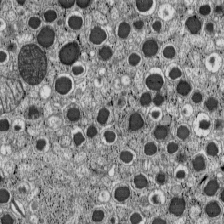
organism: C57BL Mouse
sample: Pancreatic islet